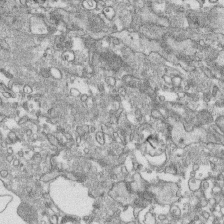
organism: Human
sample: CRL-1474